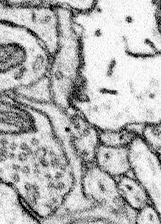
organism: Mouse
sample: Somatosensory cortex neuropil